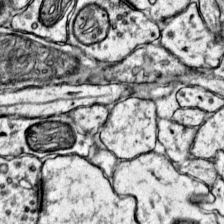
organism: Mouse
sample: Primary visual cortex